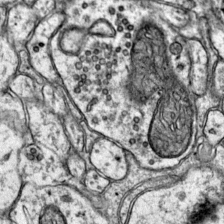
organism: Mouse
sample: Primary visual cortex